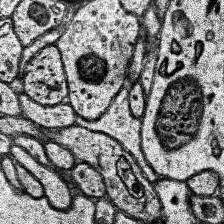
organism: Human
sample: Temporal Lobe